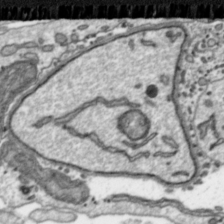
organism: Toxoplasma gondii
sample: Parasites in a vacuole inside a host cell